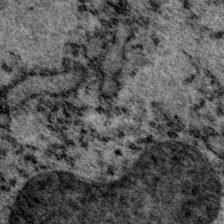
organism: P. pacificus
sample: Pharynx